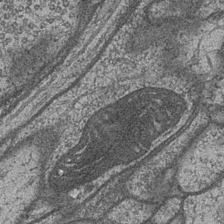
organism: Drosophila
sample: Optic medulla